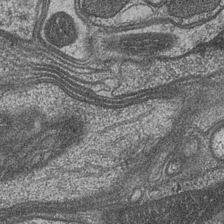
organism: Drosophila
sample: Optic medulla